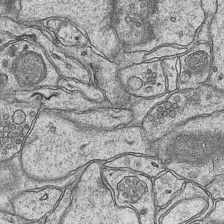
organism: Mouse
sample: CA1 Hippocampus